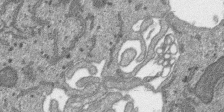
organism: Human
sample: Lung epithelial cells infected with SARS-CoV-2